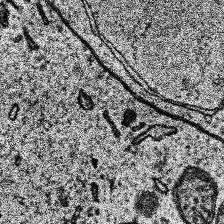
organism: Human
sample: Temporal Lobe